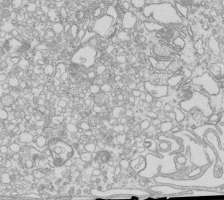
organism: Mouse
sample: Macrophages